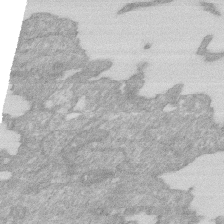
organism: Human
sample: HIV infected U937 cells